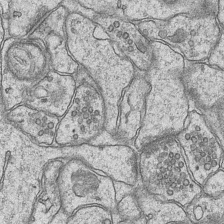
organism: Mouse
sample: CA1 Hippocampus